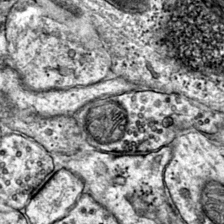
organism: Mouse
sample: Primary visual cortex